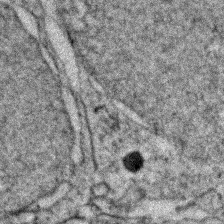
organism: Zebrafish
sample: Zebrafish embryo